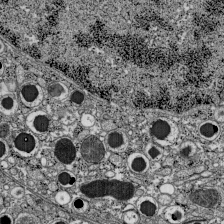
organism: C57BL Mouse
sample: Pancreatic islet